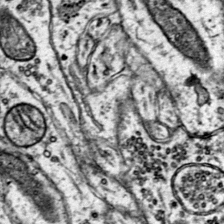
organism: Mouse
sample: Primary visual cortex